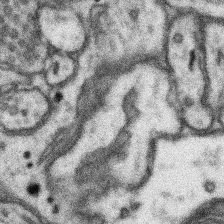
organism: Mouse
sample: Somatosensory cortex neuropil